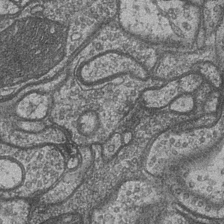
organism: Drosophila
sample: Optic medulla